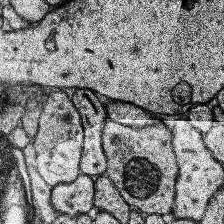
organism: Human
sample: Temporal Lobe